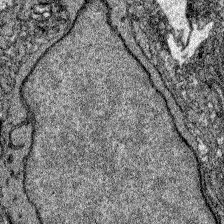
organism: Zebrafish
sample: Larval olfactory bulb